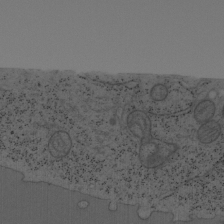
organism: Mouse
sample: OT-I killer T cells with ID8 ovarian cancer cells